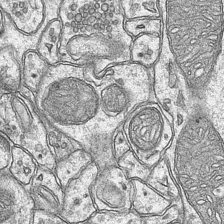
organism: Mouse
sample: CA1 Hippocampus